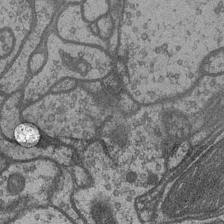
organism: Drosophila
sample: Optic medulla